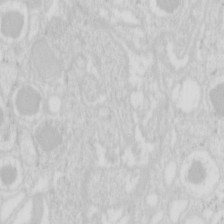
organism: Mouse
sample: Pancreas